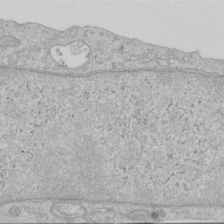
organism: Human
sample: Centriole in RPE cells